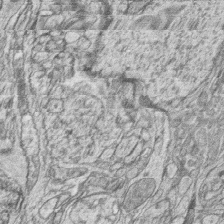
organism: Zebrafish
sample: synaptic ribbons in rod cells and cone cells